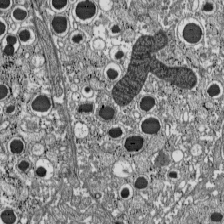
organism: C57BL Mouse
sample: Pancreatic islet